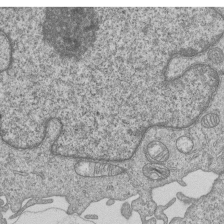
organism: Human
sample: MDA-MB-231 cells